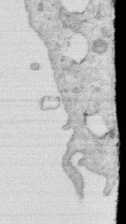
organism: Human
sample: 1205lu cells